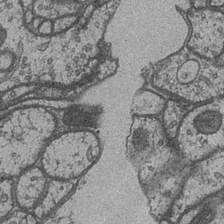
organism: Drosophila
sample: Optic medulla